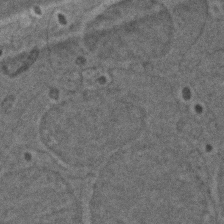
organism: Zebrafish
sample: Zebrafish embryo